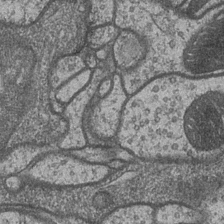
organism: Drosophila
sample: Optic medulla